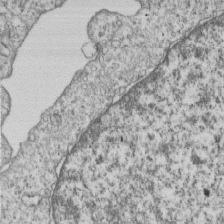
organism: Human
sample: MDA-MB-231 cells